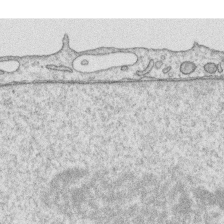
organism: Human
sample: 1205lu cells